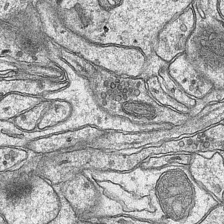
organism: Mouse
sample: CA1 Hippocampus